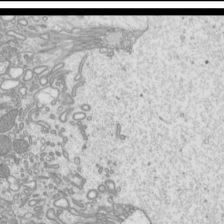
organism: Mouse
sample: Cilia; mouse epididymis